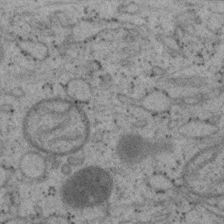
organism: Human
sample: HeLa cells